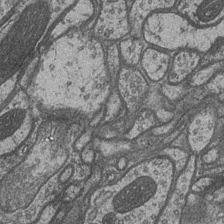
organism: Drosophila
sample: Optic medulla